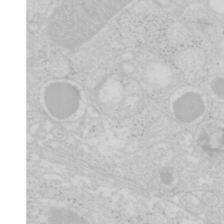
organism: Mouse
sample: Pancreas